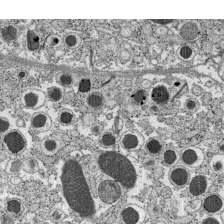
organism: C57BL Mouse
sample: Pancreatic islet